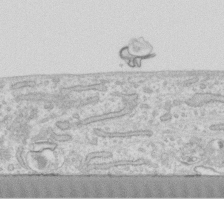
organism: Human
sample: Fibroblast cells